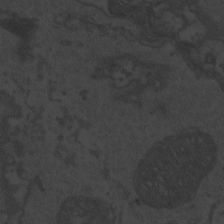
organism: Zebrafish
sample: Macrophage infected with Toxoplasma gondii